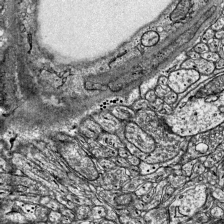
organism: Mouse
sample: Visual Cortex